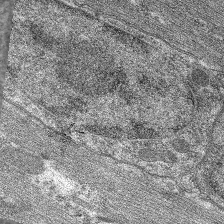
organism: C. elegans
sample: Pharynx